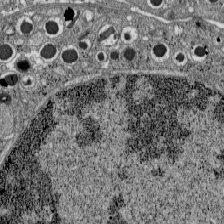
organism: C57BL Mouse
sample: Pancreatic islet